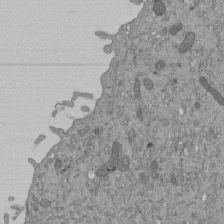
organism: Mouse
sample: ED-1 cell nuclei; centrioles